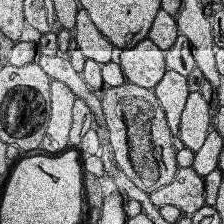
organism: Human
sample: Temporal Lobe